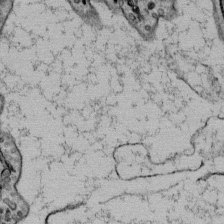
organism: Mouse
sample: Mouse Salivary gland